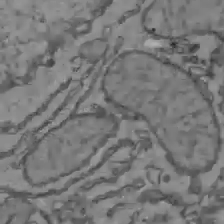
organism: C57BL Mouse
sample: Liver